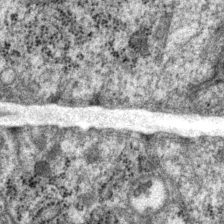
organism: P. pacificus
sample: Pharynx